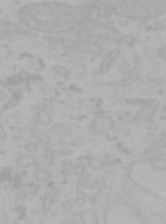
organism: Mouse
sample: Choroid plexus